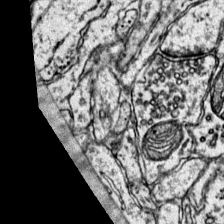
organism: Mouse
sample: Primary visual cortex